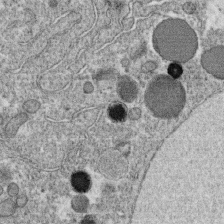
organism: C. elegans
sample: C. elegans oocyte; sperm cells